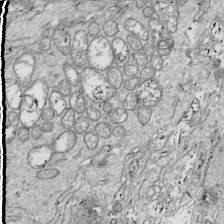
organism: Drosophila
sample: Cell division; meiosis; drosophila spermatocytes